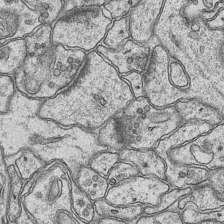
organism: Mouse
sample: CA1 Hippocampus